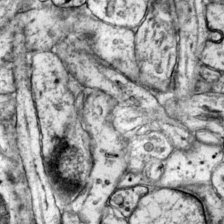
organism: Mouse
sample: Primary visual cortex